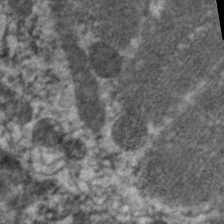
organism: C. elegans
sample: Pharynx